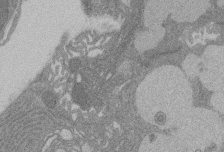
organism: Rat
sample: Salivary granule